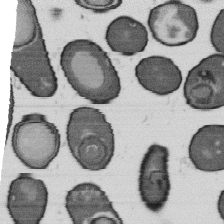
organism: B. subtilis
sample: Bacterial spore